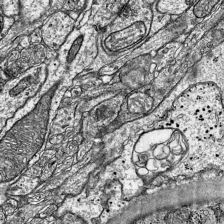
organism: Mouse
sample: Visual Cortex